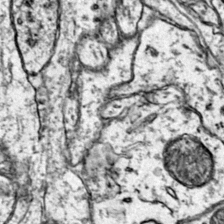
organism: Mouse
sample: Primary visual cortex